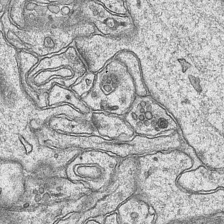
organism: Mouse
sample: CA1 Hippocampus